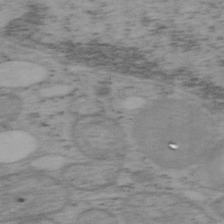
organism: Mouse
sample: OT-I killer T cells with ID8 ovarian cancer cells